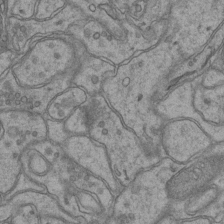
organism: Mouse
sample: CA1 Hippocampus